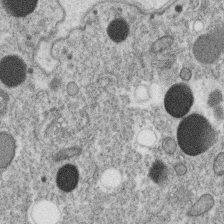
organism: C. elegans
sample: C. elegans oocyte; sperm cells